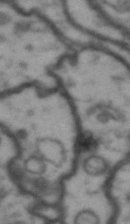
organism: Drosophila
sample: Brain